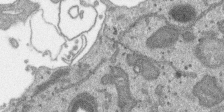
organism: Human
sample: Lung epithelial cells infected with SARS-CoV-2